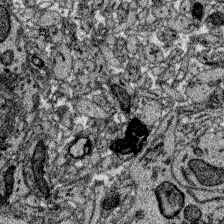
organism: Zebrafish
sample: Larval olfactory bulb